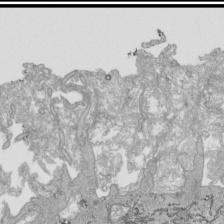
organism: Human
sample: Mitochondria in HCT116 cells